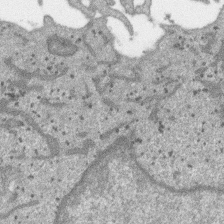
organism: Human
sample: Lung epithelial cells infected with SARS-CoV-2